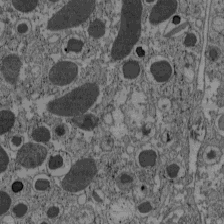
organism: C57BL Mouse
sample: Pancreatic islet